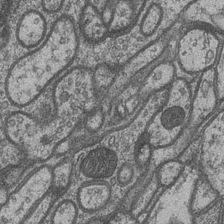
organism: Drosophila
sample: Optic medulla